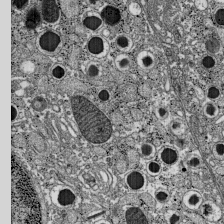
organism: C57BL Mouse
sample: Pancreatic islet